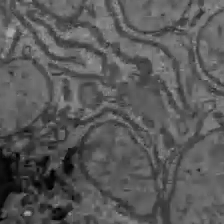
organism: C57BL Mouse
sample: Liver